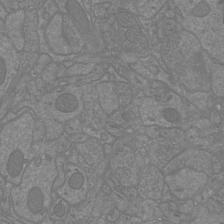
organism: Mouse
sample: Cortical neurons